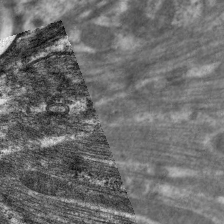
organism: C. elegans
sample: Pharynx